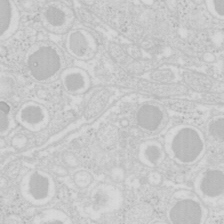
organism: Mouse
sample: Pancreas